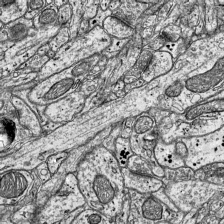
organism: Mouse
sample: Visual Cortex